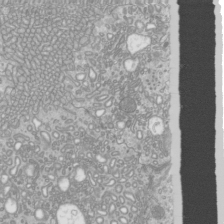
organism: Mouse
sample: Cilia; mouse epididymis